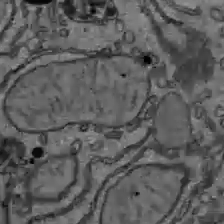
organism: C57BL Mouse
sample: Liver